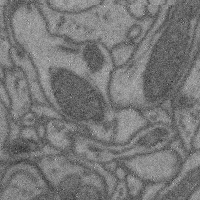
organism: Mouse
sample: Cerebral cortex